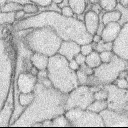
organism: Rabbit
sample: Retina